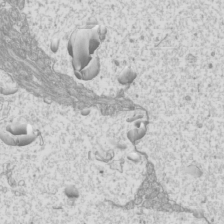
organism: Mouse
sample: Cilia; mouse epididymis